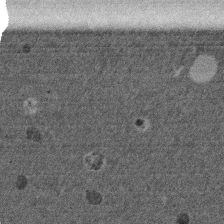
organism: Mouse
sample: Dividing mouse embryo 1 cell stage